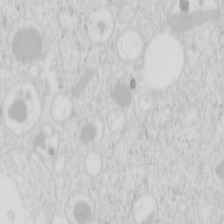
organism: Mouse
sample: Pancreas